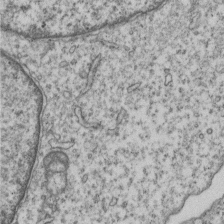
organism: Human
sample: MDA-MB-231 cells